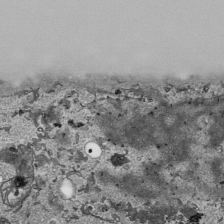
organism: Human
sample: Mitochondria in HCT116 cells